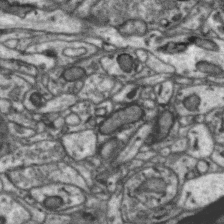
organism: Zebra finch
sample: Brain